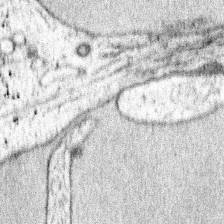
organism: Human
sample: HeLa cells